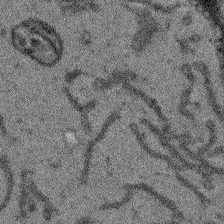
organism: Arabidopsis thaliana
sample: Root tip